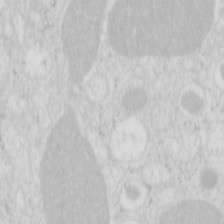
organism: Mouse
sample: Pancreas